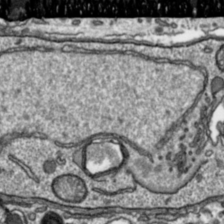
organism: Toxoplasma gondii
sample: Parasites in a vacuole inside a host cell